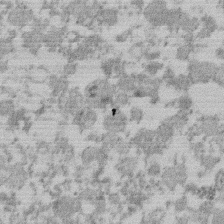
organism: Mouse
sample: Dividing mouse embryo 1 cell stage